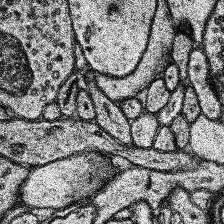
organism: Human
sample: Temporal Lobe